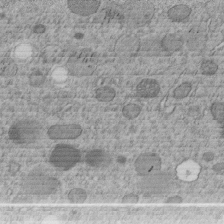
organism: C. elegans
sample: C. elegans embryo early stage